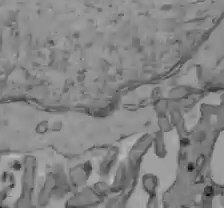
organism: C57BL Mouse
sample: Liver